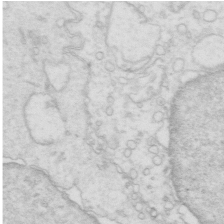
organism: Mouse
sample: Multiciliated cells